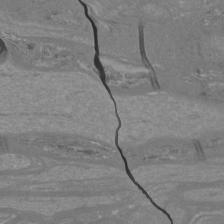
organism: Mouse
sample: Cortical neurons